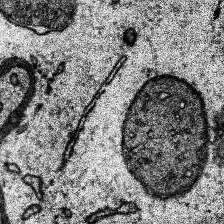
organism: Human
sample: Temporal Lobe